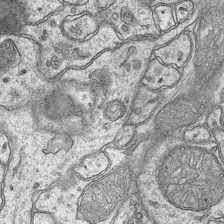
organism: Mouse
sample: CA1 Hippocampus